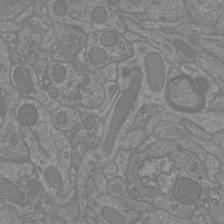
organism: Mouse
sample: Cortical neurons